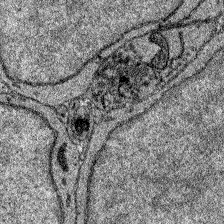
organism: Zebrafish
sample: Larval olfactory bulb